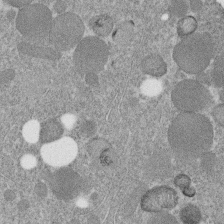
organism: C. elegans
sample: C. elegans embryo early stage